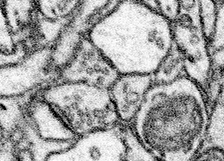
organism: Mouse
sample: Somatosensory cortex neuropil